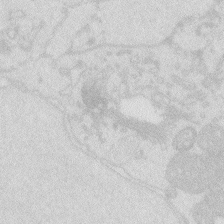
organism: Zebrafish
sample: Macrophage